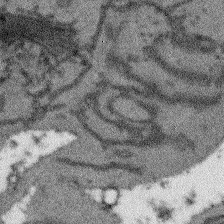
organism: Arabidopsis thaliana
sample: Root tip